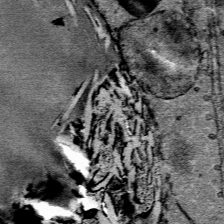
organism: Mouse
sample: Mouse Salivary gland